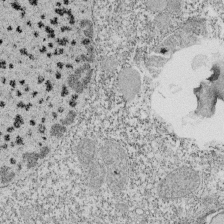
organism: Tetrahymena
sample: Cilia in tetrahymena